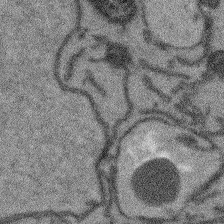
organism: Arabidopsis thaliana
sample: Root tip